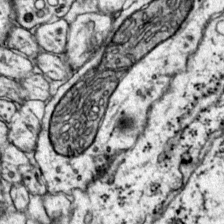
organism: Mouse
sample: Primary visual cortex